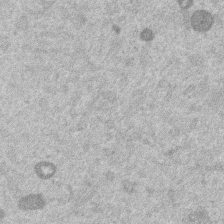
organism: Mouse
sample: Dividing mouse embryo 1 cell stage